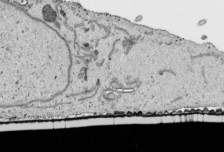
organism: Human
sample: Mitochondria in HCT116 cells